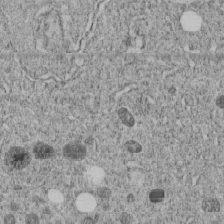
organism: C. elegans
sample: C. elegans embryo early stage